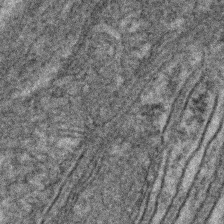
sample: Kidney